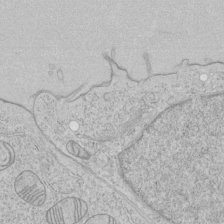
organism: Human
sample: Mitochondria in HCT116 cells